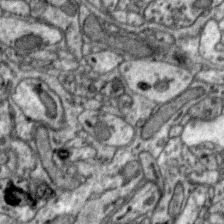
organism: Zebra finch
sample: Brain